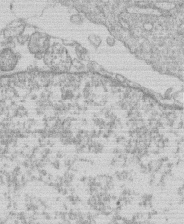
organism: Human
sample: Macrophage cells